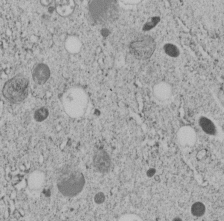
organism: C. elegans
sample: C. elegans embryo early stage